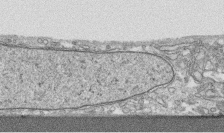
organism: Human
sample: CRL-1474